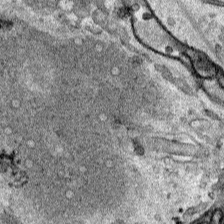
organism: Human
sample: Mitochondria in HCT116 cells